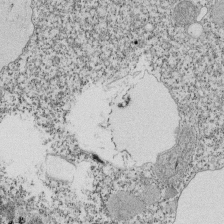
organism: Tetrahymena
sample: Cilia in tetrahymena